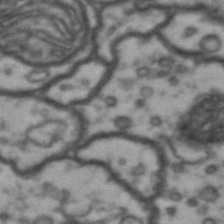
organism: Drosophila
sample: Brain